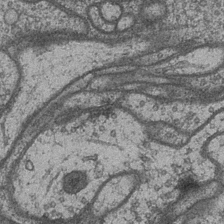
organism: Drosophila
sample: Optic medulla